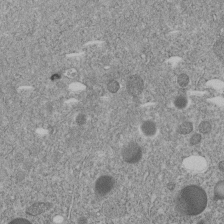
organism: C. elegans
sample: C. elegans embryo early stage